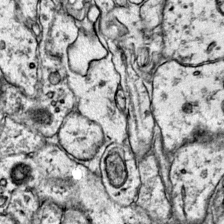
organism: Mouse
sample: Primary visual cortex